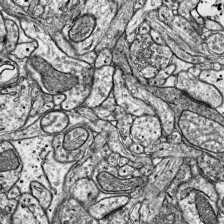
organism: Mouse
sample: Visual Cortex